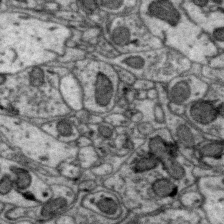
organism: Zebra finch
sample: Brain